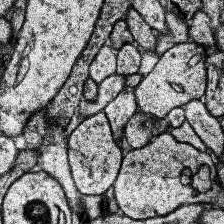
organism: Human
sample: Temporal Lobe